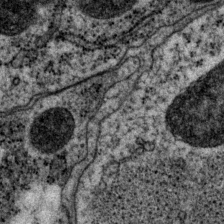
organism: P. pacificus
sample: Pharynx